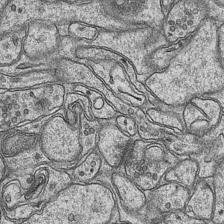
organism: Mouse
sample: CA1 Hippocampus